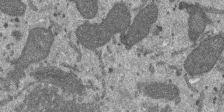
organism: Human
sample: Lung epithelial cells infected with SARS-CoV-2